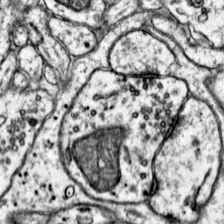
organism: Mouse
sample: Primary visual cortex